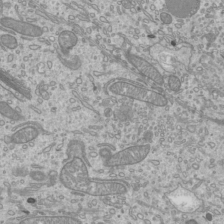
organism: Mouse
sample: Cilia; mouse epididymis